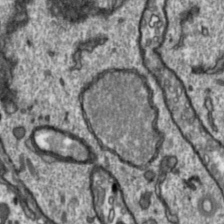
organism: Toxoplasma gondii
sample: Parasites in a vacuole inside a host cell